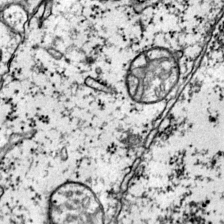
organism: Mouse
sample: Primary visual cortex